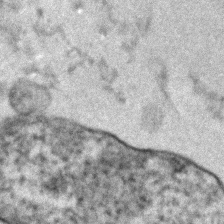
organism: Human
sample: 1205lu cells